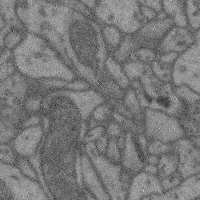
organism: Mouse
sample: Cerebral cortex